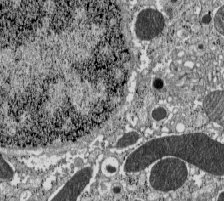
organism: C57BL Mouse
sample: Pancreatic islet